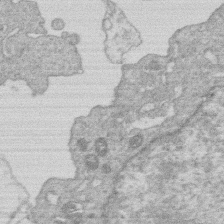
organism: Human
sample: Macrophage cells